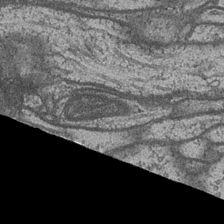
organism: Drosophila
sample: Optic medulla